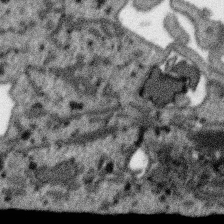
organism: Human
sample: Lung epithelial cells infected with SARS-CoV-2